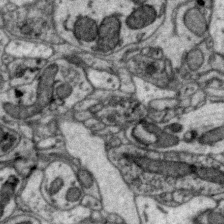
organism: Zebra finch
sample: Brain